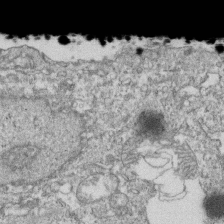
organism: Human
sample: HeLa cell HIV synapse